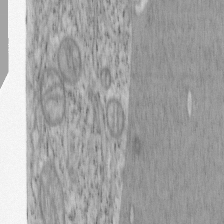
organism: Human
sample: HeLa cells